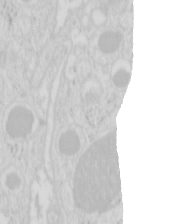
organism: Mouse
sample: Pancreas